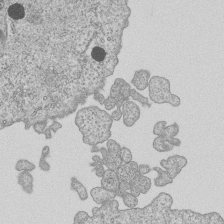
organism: Human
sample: MDA-MB-231 cells